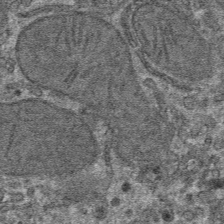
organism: Mouse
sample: Mouse hepatocytes